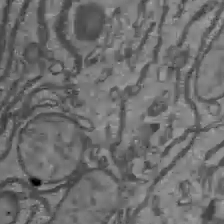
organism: C57BL Mouse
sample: Liver